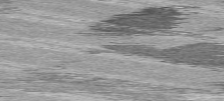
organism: C57BL Mouse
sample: Heart